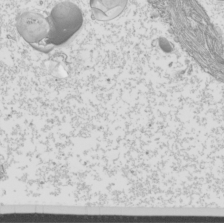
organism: Mouse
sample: Cilia; mouse epididymis